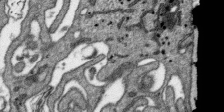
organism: Human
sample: Lung epithelial cells, uninfected (mock) control